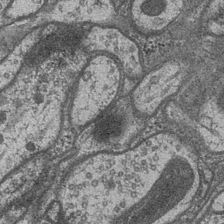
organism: Drosophila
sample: Optic medulla